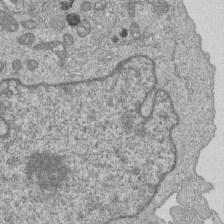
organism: Human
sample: MDA-MB-231 cells